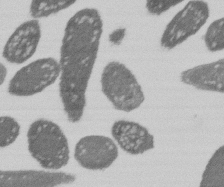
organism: E. coli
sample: Bacterial nucleoid